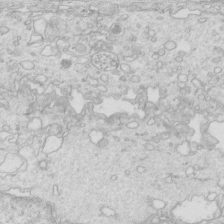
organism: Mouse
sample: Multiciliated cells